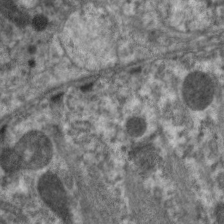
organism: C. elegans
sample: Pharynx